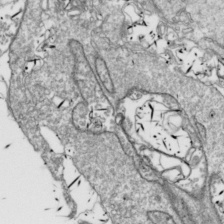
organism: Drosophila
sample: Cell division; meiosis; drosophila spermatocytes